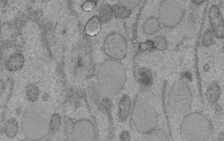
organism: C. elegans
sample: C. elegans embryo early stage